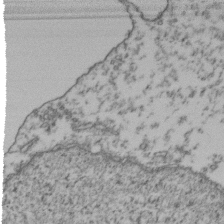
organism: Human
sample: Activated Jurkat CD4+ T cells